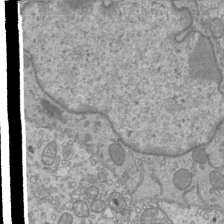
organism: Mouse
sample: Cilia; mouse epididymis